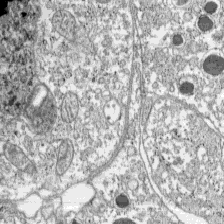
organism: C57BL Mouse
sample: Pancreatic islet